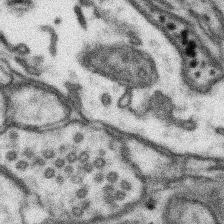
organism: Mouse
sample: Somatosensory cortex neuropil